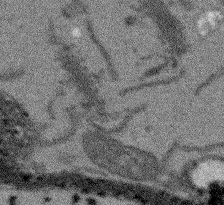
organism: Arabidopsis thaliana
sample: Root tip